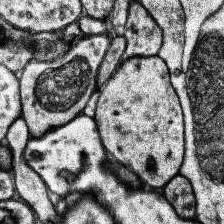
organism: Human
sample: Temporal Lobe